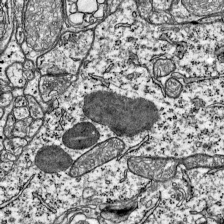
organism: Mouse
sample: Visual Cortex